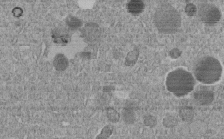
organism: C. elegans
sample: C. elegans embryo early stage